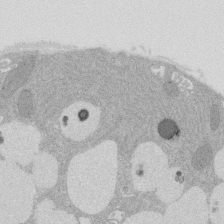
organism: Rat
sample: Salivary granule